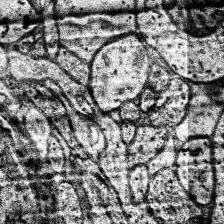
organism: Human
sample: Temporal Lobe